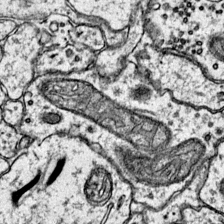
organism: Mouse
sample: Primary visual cortex